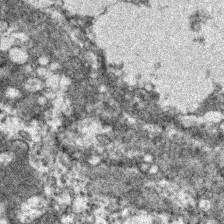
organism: Zebrafish